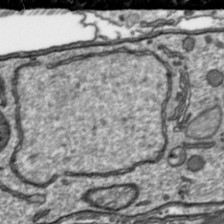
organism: Toxoplasma gondii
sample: Parasites in a vacuole inside a host cell